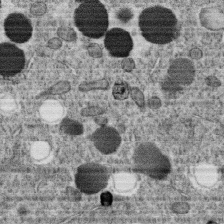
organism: C. elegans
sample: C. elegans oocyte; sperm cells